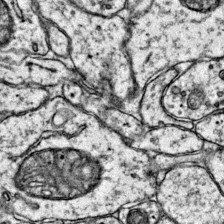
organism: Mouse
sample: Primary visual cortex